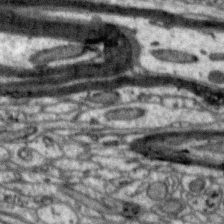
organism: Zebra finch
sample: Brain